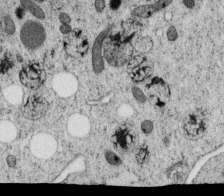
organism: C. elegans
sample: C. elegans oocyte; sperm cells